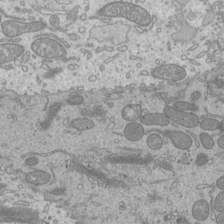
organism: Mouse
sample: Cilia; mouse epididymis